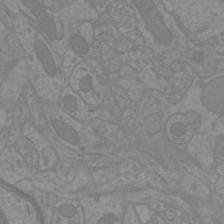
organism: Mouse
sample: Cortical neurons